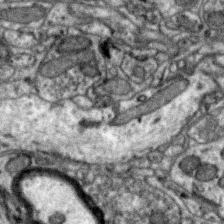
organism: Zebra finch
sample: Brain